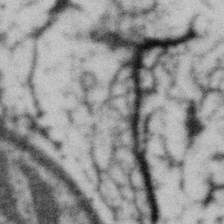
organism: Gemmata obscuriglobus